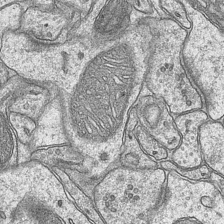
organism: Mouse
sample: CA1 Hippocampus